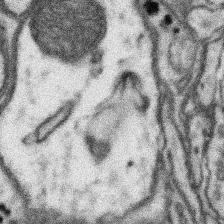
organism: Mouse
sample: Somatosensory cortex neuropil